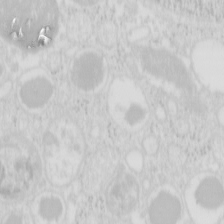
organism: Mouse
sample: Pancreas